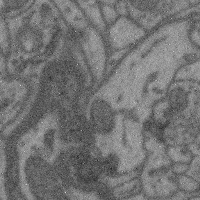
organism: Mouse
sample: Cerebral cortex